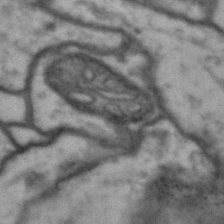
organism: Drosophila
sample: Brain